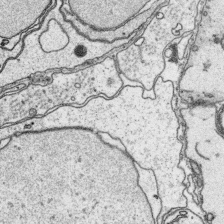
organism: Platynereis dumerilii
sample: Parapodia